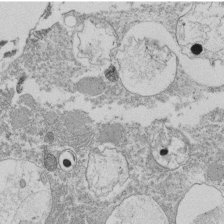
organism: Tetrahymena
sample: Cilia in tetrahymena